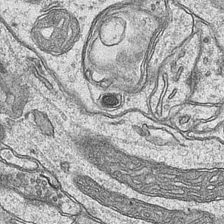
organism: Mouse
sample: CA1 Hippocampus